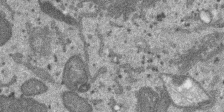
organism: Human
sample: Lung epithelial cells infected with SARS-CoV-2